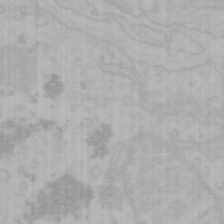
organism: Mouse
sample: Choroid plexus